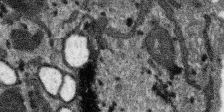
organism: Human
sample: Lung epithelial cells infected with SARS-CoV-2